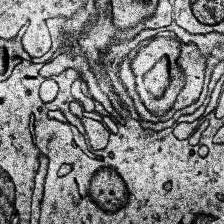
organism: Human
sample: Temporal Lobe